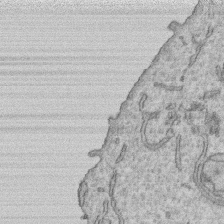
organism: Human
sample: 1205lu cells